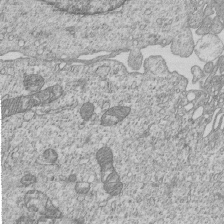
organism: Human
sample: MDA-MB-231 cells